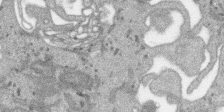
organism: Human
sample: Lung epithelial cells infected with SARS-CoV-2